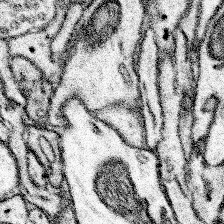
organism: Mouse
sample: Somatosensory cortex neuropil